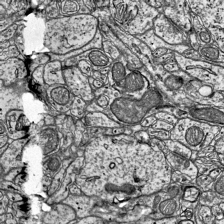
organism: Mouse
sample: Visual Cortex